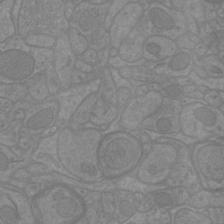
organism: Mouse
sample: Cortical neurons